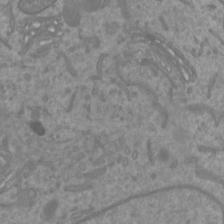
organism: Mouse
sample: Cortical neurons